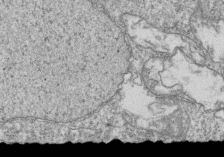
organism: Human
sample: HeLa cell HIV synapse